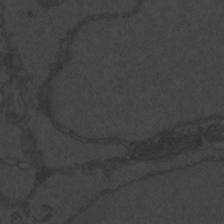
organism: Zebrafish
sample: Macrophage infected with Toxoplasma gondii